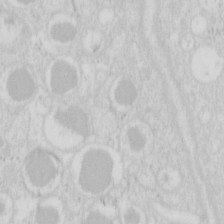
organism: Mouse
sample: Pancreas